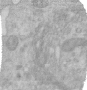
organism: Human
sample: Centriole in RPE cells